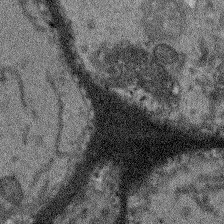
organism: Arabidopsis thaliana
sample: Root tip